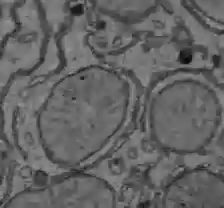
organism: C57BL Mouse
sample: Liver